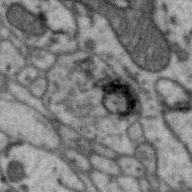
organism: Zebra finch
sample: Brain